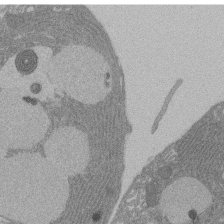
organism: Rat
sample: Salivary granule